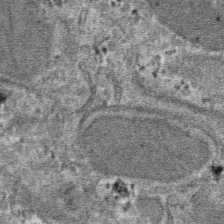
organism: Mouse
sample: Mouse hepatocytes